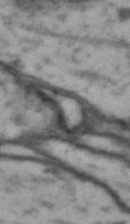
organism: Drosophila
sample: Brain